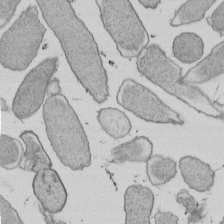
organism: E. coli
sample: Bacterial nucleoid